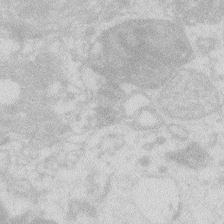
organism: Zebrafish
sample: Macrophage